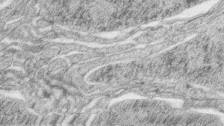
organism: Zebrafish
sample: synaptic ribbons in rod cells and cone cells